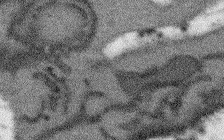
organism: Arabidopsis thaliana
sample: Root tip